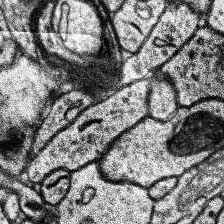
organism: Human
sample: Temporal Lobe